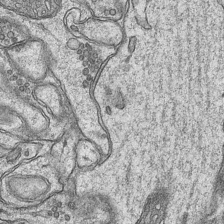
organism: Mouse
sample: CA1 Hippocampus